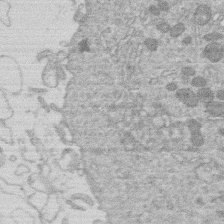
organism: Human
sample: Macrophage cells